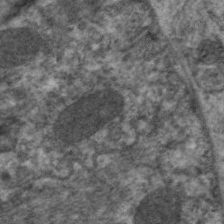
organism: C. elegans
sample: Pharynx